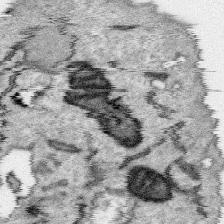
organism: Human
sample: HeLa cells